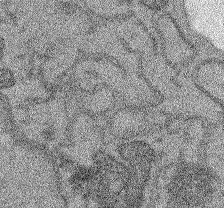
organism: Human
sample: HeLa cells